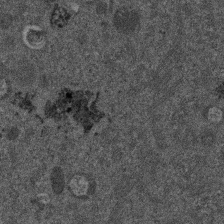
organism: Mouse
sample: Dividing mouse embryo 1 cell stage